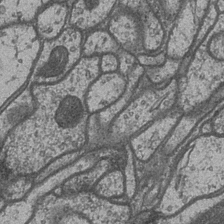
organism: Drosophila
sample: Optic medulla